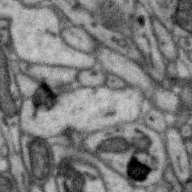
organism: Zebra finch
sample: Brain